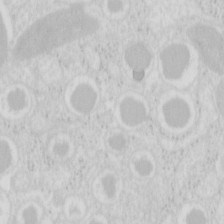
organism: Mouse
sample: Pancreas